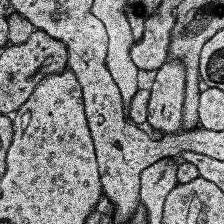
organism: Human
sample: Temporal Lobe